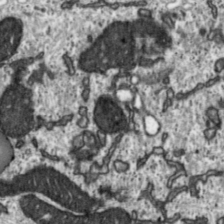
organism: Toxoplasma gondii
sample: Parasites in a vacuole inside a host cell